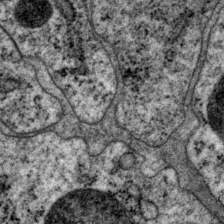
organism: P. pacificus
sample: Pharynx